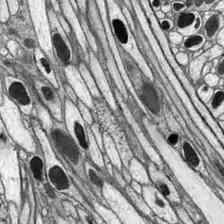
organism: Drosophila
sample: Optic lobe